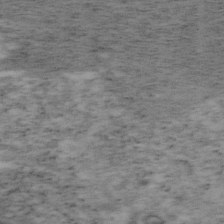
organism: Mouse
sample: OT-I killer T cells with ID8 ovarian cancer cells